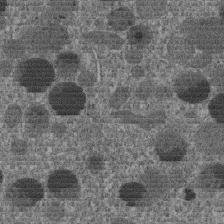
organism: C. elegans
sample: C. elegans embryo early stage